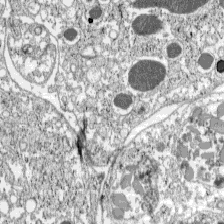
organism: C57BL Mouse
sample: Pancreatic islet